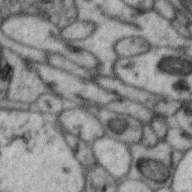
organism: Zebra finch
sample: Brain